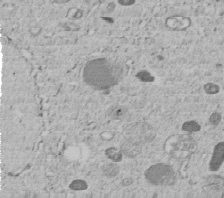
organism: C. elegans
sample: C. elegans embryo early stage